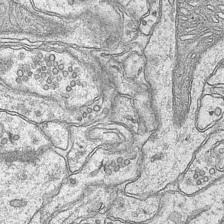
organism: Mouse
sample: CA1 Hippocampus